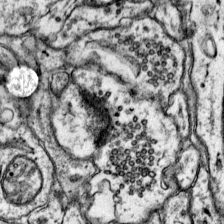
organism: Mouse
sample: Primary visual cortex